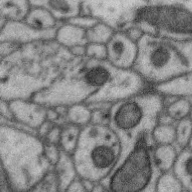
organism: Zebra finch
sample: Brain